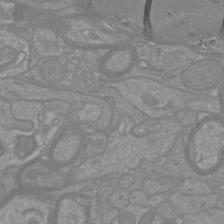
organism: Mouse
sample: Cortical neurons